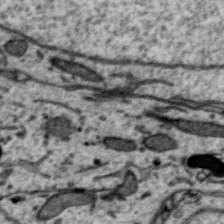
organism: Zebra finch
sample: Brain